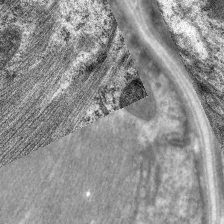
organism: C. elegans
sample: Pharynx